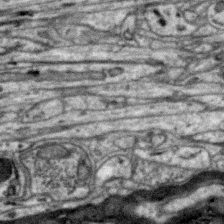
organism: Zebra finch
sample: Brain